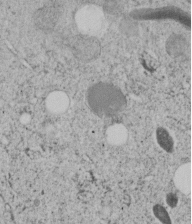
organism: C. elegans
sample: C. elegans embryo early stage